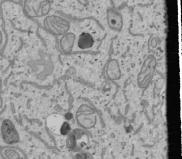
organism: Human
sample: Mitochondria in U2OS cells